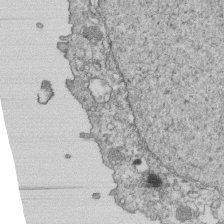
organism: Human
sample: HeLa cell HIV synapse